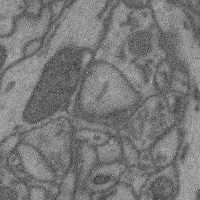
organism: Mouse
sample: Cerebral cortex